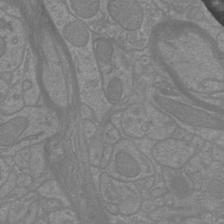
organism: Mouse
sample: Cortical neurons